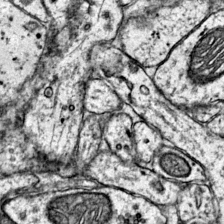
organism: Mouse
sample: Primary visual cortex